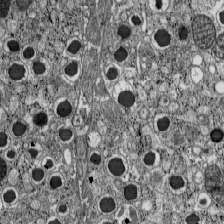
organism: C57BL Mouse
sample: Pancreatic islet